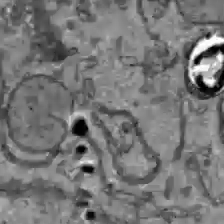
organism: C57BL Mouse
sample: Liver